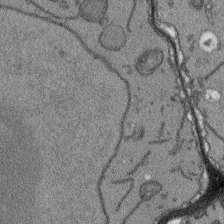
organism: Arabidopsis thaliana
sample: Root tip